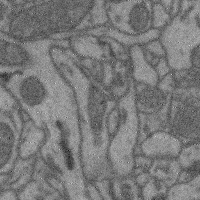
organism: Mouse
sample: Cerebral cortex